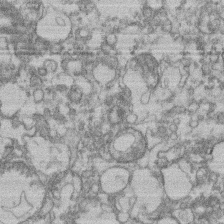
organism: Mouse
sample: T cell stromal cell synapse